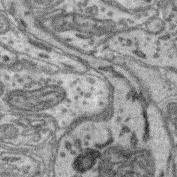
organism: Mouse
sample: Retina